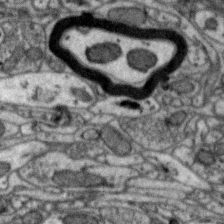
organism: Zebra finch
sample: Brain